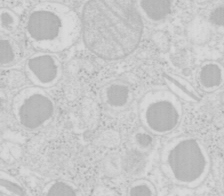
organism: Mouse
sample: Pancreas